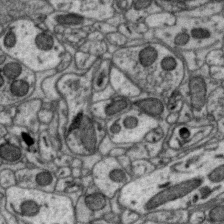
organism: Zebra finch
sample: Brain